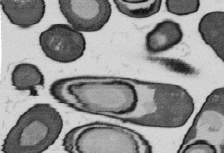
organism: B. subtilis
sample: Bacterial spore